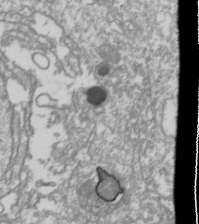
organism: Drosophila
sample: Cell division; meiosis; drosophila spermatocytes